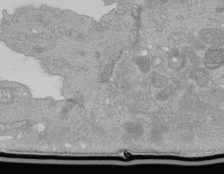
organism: Human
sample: Retinal organoid Rod and Cone cells